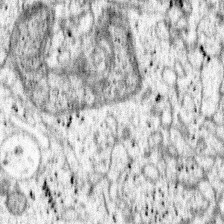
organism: Human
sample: HeLa cells